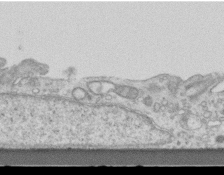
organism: Mouse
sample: Centriole in ependymal cells